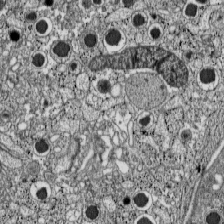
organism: C57BL Mouse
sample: Pancreatic islet